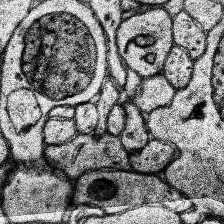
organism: Human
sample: Temporal Lobe